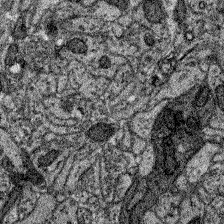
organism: Zebrafish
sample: Larval olfactory bulb